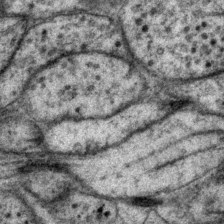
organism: P. pacificus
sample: Pharynx